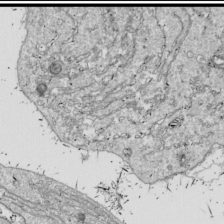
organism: Drosophila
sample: Cell division; meiosis; drosophila spermatocytes